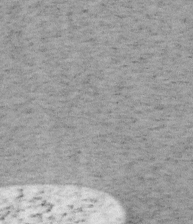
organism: Mouse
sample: OT-I killer T cells with ID8 ovarian cancer cells